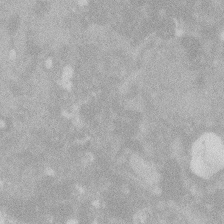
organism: Zebrafish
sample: Macrophage